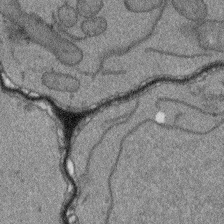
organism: Arabidopsis thaliana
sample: Root tip